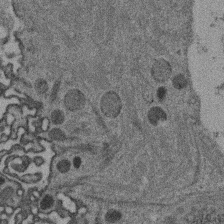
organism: Mouse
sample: Dividing mouse embryo 1 cell stage